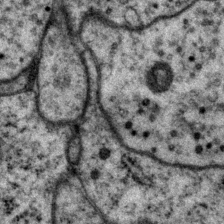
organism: P. pacificus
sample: Pharynx